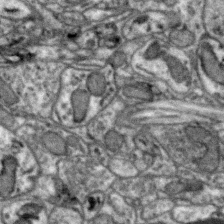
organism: Zebra finch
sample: Brain